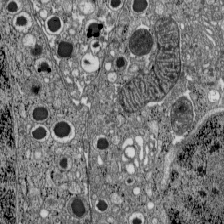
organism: C57BL Mouse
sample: Pancreatic islet